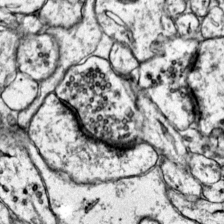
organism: Mouse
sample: Primary visual cortex